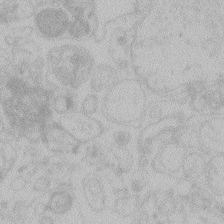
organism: Zebrafish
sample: Macrophage infected with Toxoplasma gondii